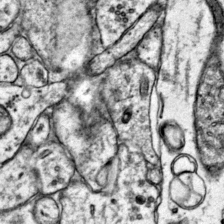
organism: Mouse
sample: Primary visual cortex